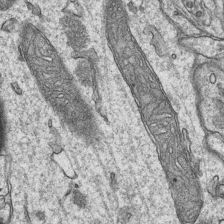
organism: Mouse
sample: CA1 Hippocampus